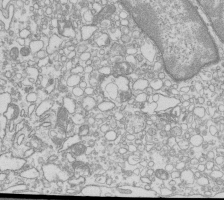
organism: Mouse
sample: Macrophages